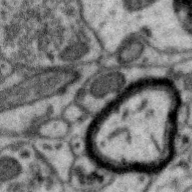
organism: Zebra finch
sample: Brain